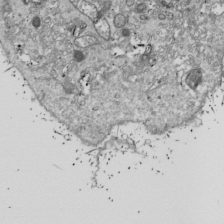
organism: Drosophila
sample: Cell division; meiosis; drosophila spermatocytes